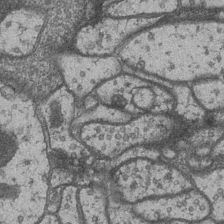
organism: Drosophila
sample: Optic medulla